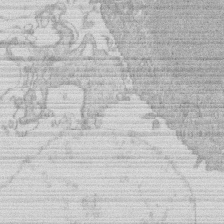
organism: Human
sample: Macrophage cells